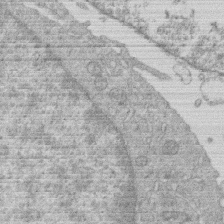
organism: Human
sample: Macrophage cells